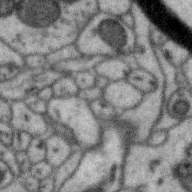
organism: Zebra finch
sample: Brain